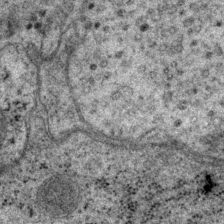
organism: P. pacificus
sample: Pharynx